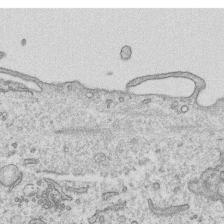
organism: Human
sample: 1205lu cells